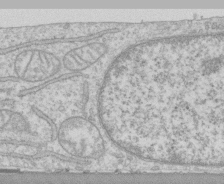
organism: Human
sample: CRL-1474